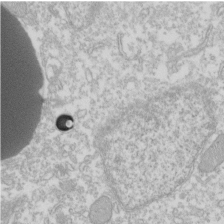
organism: Xenopus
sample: Cilia; centrioles in frog embryo cells